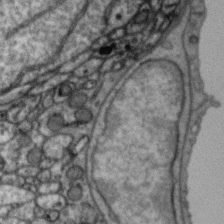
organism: Zebra finch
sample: Brain